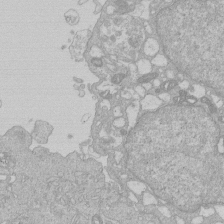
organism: Human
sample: Macrophage cells